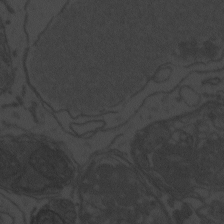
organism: Zebrafish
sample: Macrophage infected with Toxoplasma gondii